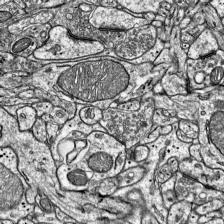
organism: Mouse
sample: Visual Cortex